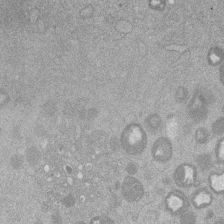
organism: Mouse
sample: Dividing mouse embryo 1 cell stage